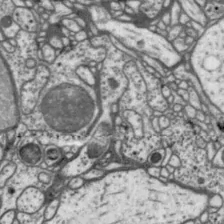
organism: Drosophila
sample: Protocerebral bridge